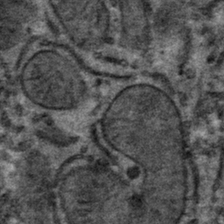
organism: Mouse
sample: Mouse hepatocytes